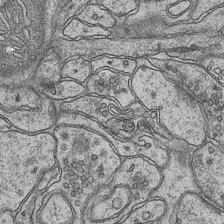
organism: Mouse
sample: CA1 Hippocampus